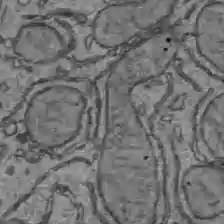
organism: C57BL Mouse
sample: Liver